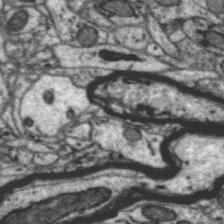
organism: Zebra finch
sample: Brain